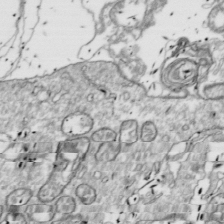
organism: Drosophila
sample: Cell division; meiosis; drosophila spermatocytes